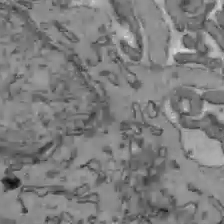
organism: C57BL Mouse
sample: Liver